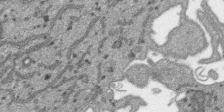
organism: Human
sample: Lung epithelial cells infected with SARS-CoV-2